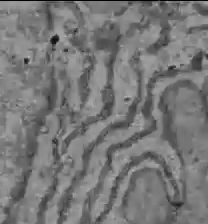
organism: C57BL Mouse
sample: Liver